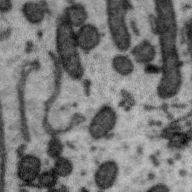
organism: Zebra finch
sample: Brain